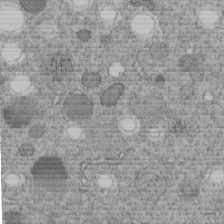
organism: C. elegans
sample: C. elegans embryo early stage